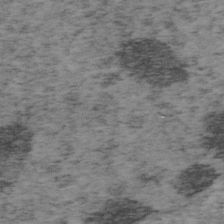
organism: Mouse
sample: OT-I killer T cells with ID8 ovarian cancer cells